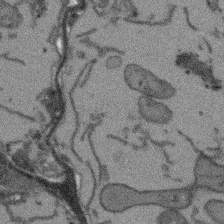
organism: Arabidopsis thaliana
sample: Root tip